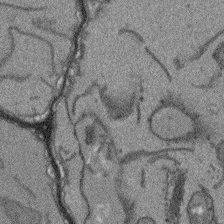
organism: Arabidopsis thaliana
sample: Root tip